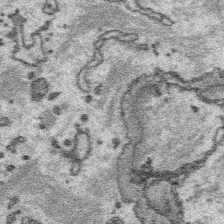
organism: Platynereis dumerilii